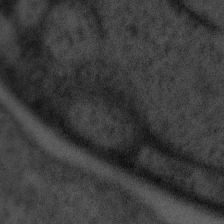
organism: Tuwongella immobilis